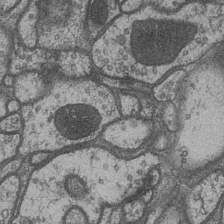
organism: Drosophila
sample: Optic medulla